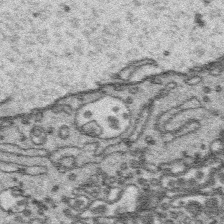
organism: Platynereis dumerilii